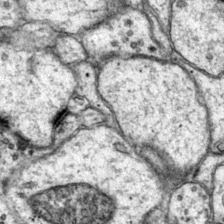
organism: Mouse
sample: Primary visual cortex